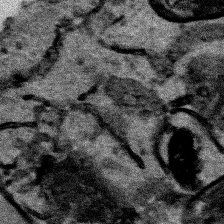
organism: Human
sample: Mitochondria in HCT116 cells